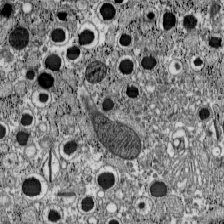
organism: C57BL Mouse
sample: Pancreatic islet